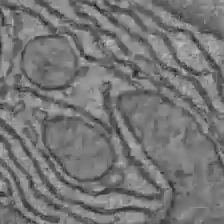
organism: C57BL Mouse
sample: Liver